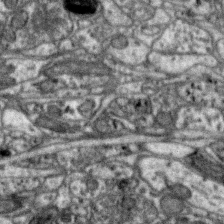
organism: Zebra finch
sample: Brain